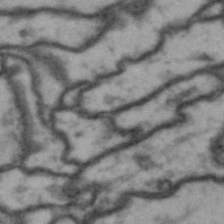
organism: Drosophila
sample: Brain